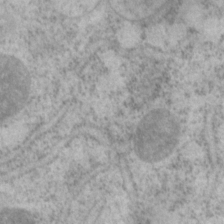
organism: P. pacificus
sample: Pharynx